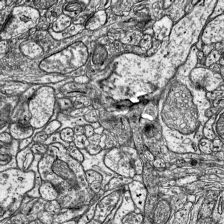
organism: Mouse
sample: Visual Cortex